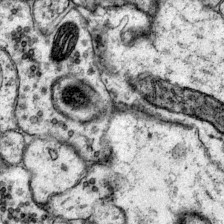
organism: Mouse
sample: Primary visual cortex